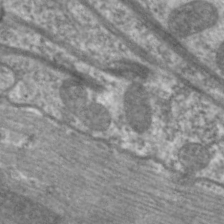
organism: C. elegans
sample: Pharynx